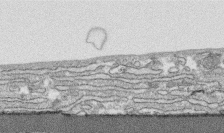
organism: Human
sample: CRL-1474